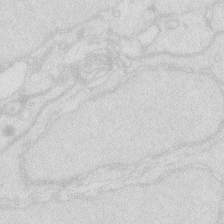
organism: Zebrafish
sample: Macrophage